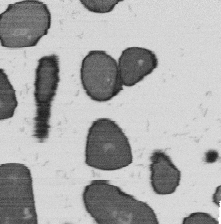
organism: B. subtilis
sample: Bacterial spore